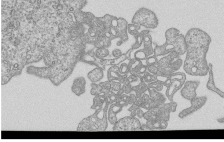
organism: Human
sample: MDA-MB-231 cells